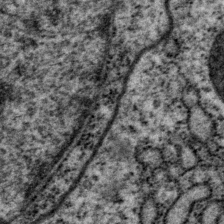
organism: P. pacificus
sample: Pharynx